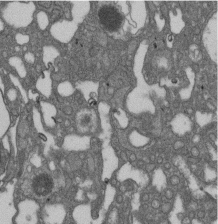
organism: Drosophila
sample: Nephrocyte